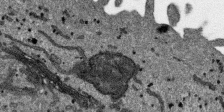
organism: Human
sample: Lung epithelial cells, uninfected (mock) control